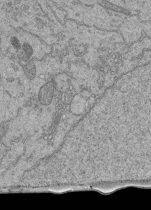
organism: Human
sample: Retinal organoid Rod and Cone cells